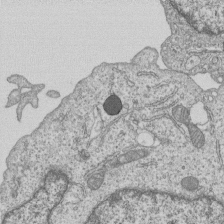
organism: Human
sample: MDA-MB-231 cells